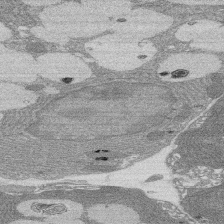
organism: Rat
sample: Salivary granule